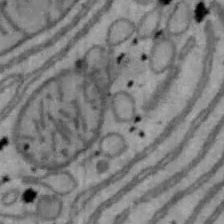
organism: Mouse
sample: Liver